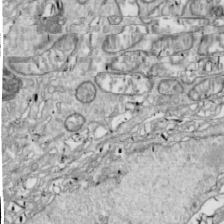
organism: Drosophila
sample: Cell division; meiosis; drosophila spermatocytes